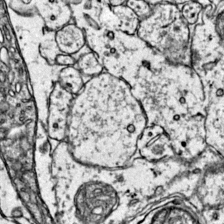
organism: Mouse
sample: Primary visual cortex